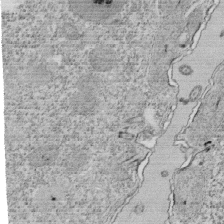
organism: Tetrahymena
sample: Cilia in tetrahymena